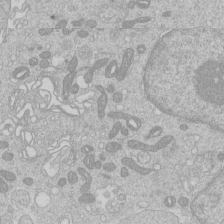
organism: Human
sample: Macrophage cells